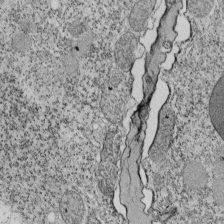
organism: Tetrahymena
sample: Cilia in tetrahymena